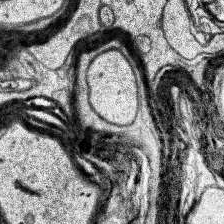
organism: Human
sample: Temporal Lobe